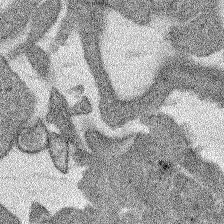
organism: Human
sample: HeLa cells